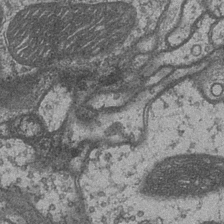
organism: Drosophila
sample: Optic medulla